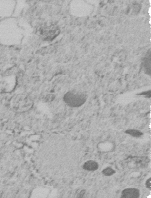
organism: C. elegans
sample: C. elegans embryo early stage